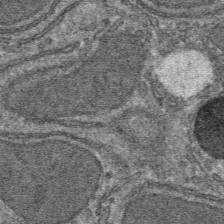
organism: Mouse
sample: Mouse hepatocytes